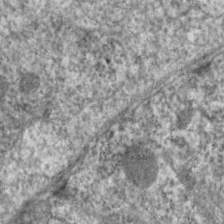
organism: C. elegans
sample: Pharynx